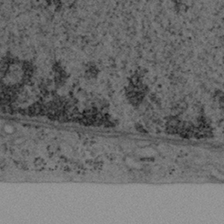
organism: Human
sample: HeLa cells